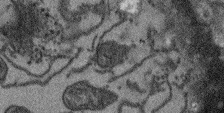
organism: Arabidopsis thaliana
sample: Root tip